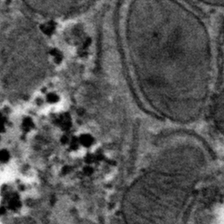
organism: Mouse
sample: Mouse hepatocytes